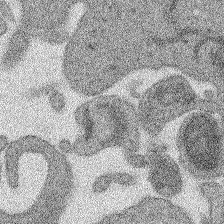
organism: Human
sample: HeLa cells